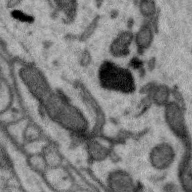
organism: Zebra finch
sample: Brain